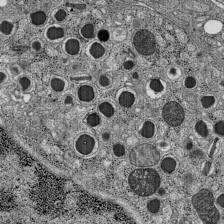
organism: C57BL Mouse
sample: Pancreatic islet